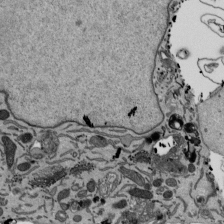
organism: Mouse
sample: ED-1 cell nuclei; centrioles